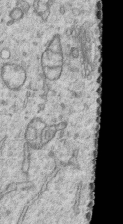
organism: Human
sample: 1205lu cells